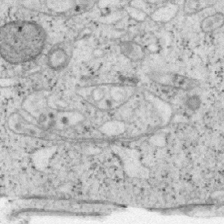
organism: Mouse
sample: OT-I killer T cells with ID8 ovarian cancer cells